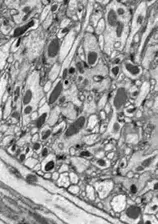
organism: Drosophila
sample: Optic lobe